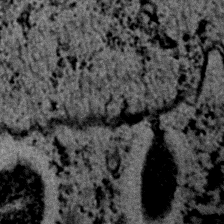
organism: C. elegans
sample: C. elegans embryo